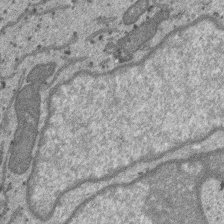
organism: Human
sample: Lung epithelial cells infected with SARS-CoV-2